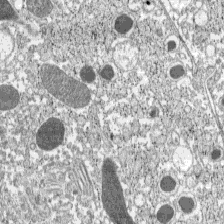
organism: C57BL Mouse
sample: Pancreatic islet